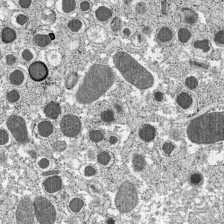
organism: C57BL Mouse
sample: Pancreatic islet